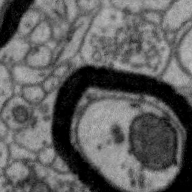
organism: Zebra finch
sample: Brain